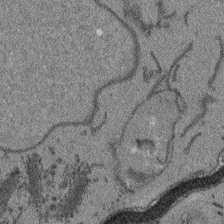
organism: Arabidopsis thaliana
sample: Root tip